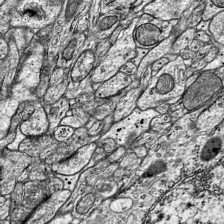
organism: Mouse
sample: Visual Cortex